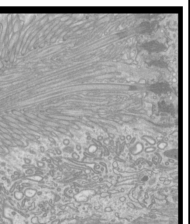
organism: Mouse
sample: Cilia; mouse epididymis